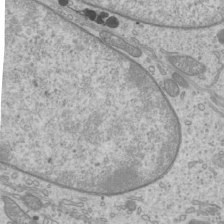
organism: Mouse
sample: Cilia; mouse epididymis